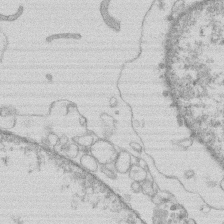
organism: Human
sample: Macrophage cells